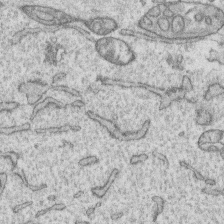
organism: Human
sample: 1205lu cells